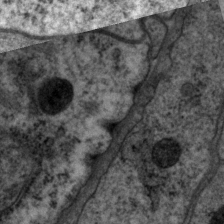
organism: P. pacificus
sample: Pharynx